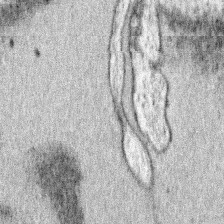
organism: Human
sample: HeLa cells